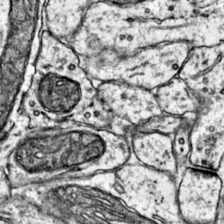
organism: Mouse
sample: Primary visual cortex